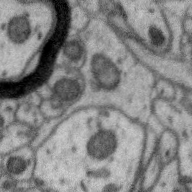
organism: Zebra finch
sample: Brain